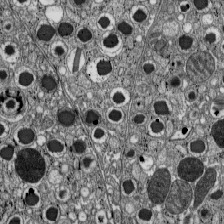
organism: C57BL Mouse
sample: Pancreatic islet